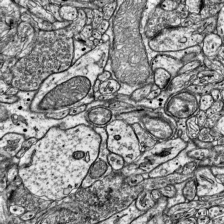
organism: Mouse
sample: Visual Cortex